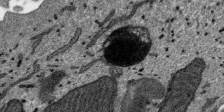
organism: Human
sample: Lung epithelial cells, uninfected (mock) control